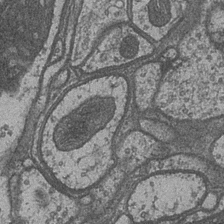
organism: Drosophila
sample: Optic medulla